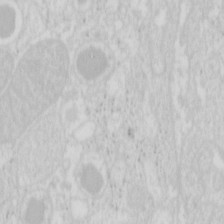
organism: Mouse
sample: Pancreas